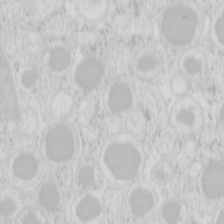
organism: Mouse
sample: Pancreas